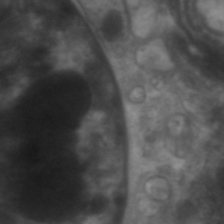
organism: C. elegans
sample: Pharynx